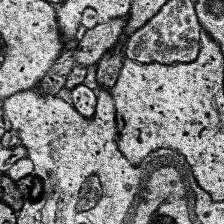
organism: Human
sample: Temporal Lobe